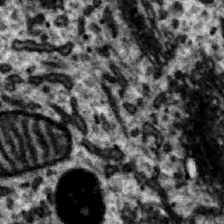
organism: Human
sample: HeLa cells